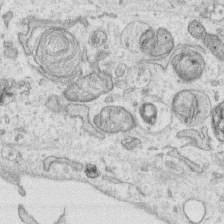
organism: Human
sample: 1205lu cells